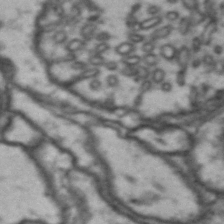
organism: Drosophila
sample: Brain